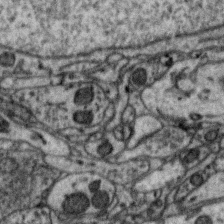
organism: Zebra finch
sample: Brain